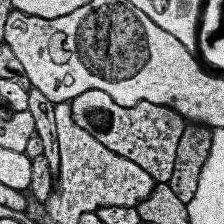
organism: Human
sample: Temporal Lobe